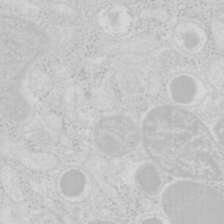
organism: Mouse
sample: Pancreas